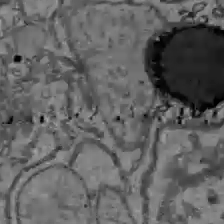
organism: C57BL Mouse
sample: Liver